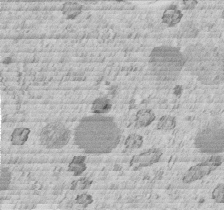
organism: C. elegans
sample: C. elegans embryo early stage